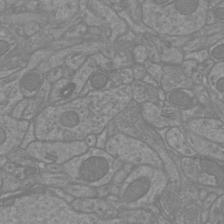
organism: Mouse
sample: Cortical neurons